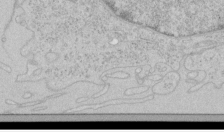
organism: Human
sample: Mitochondria in HCT116 cells